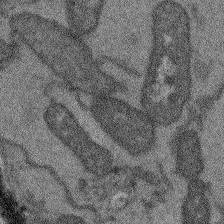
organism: Arabidopsis thaliana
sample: Root tip